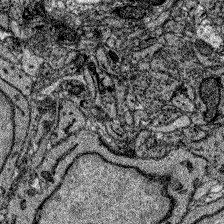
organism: Zebrafish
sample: Larval olfactory bulb